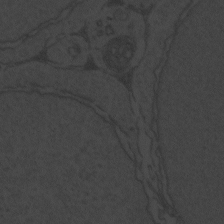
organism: Zebrafish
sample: Macrophage infected with Toxoplasma gondii